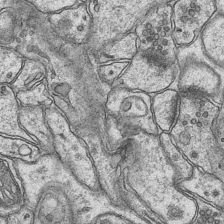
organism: Mouse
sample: CA1 Hippocampus